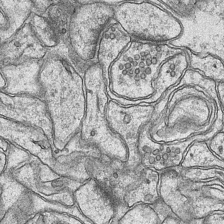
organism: Mouse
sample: CA1 Hippocampus